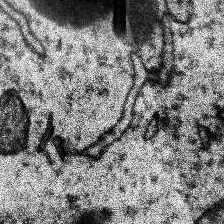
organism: Human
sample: Temporal Lobe